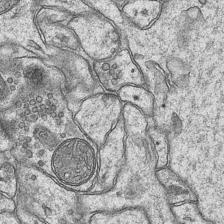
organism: Mouse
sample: CA1 Hippocampus